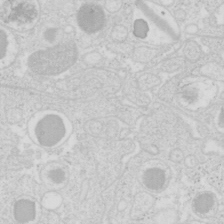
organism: Mouse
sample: Pancreas